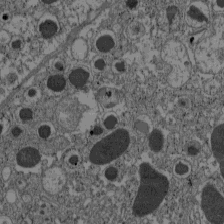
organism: C57BL Mouse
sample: Pancreatic islet